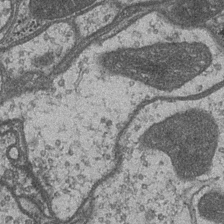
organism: Drosophila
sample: Optic medulla